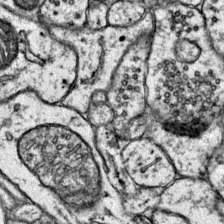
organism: Mouse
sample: Primary visual cortex